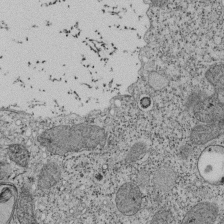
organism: Tetrahymena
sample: Cilia in tetrahymena